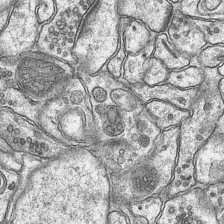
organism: Mouse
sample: CA1 Hippocampus